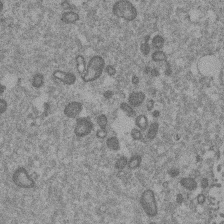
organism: Mouse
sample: Dividing mouse embryo 1 cell stage